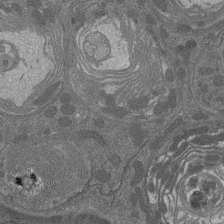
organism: Drosophila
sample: Antenna